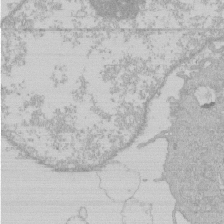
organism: Human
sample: Macrophage cells